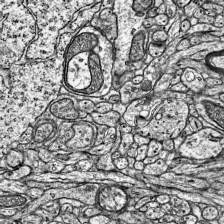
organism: Mouse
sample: Visual Cortex